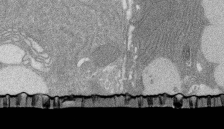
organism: Rat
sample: Salivary granule